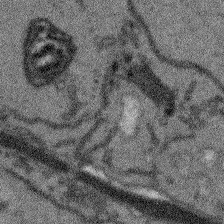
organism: Arabidopsis thaliana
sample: Root tip